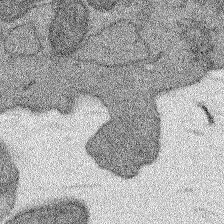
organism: Human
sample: HeLa cells